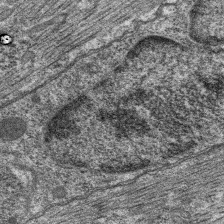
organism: C. elegans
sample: Pharynx